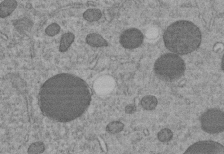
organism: C. elegans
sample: C. elegans embryo early stage